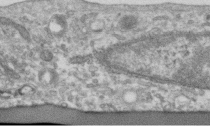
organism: Human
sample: Centriole in RPE cells